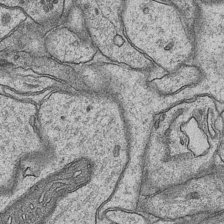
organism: Mouse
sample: CA1 Hippocampus